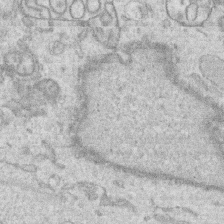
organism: Human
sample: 1205lu cells